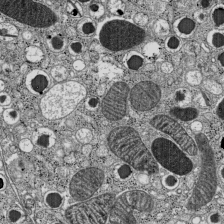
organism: C57BL Mouse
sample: Pancreatic islet